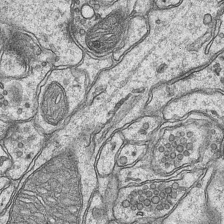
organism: Mouse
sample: CA1 Hippocampus